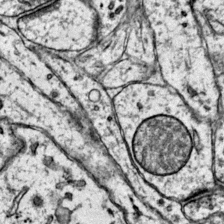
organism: Mouse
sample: Primary visual cortex